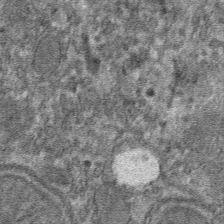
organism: Mouse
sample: Mouse hepatocytes